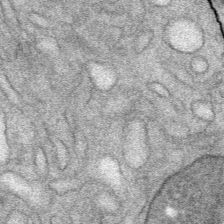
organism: Mouse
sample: Mouse Salivary gland